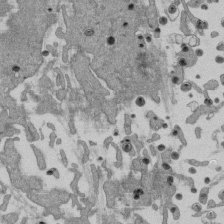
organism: Mouse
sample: ED-1 cell nuclei; centrioles